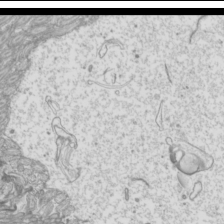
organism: Mouse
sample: Cilia; mouse epididymis